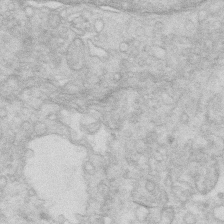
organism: Mouse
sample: Multiciliated cells